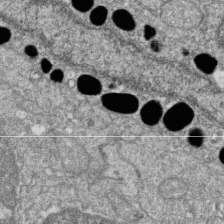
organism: Zebrafish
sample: Cilia; retinal pigment epithelium